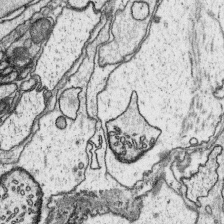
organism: Platynereis dumerilii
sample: Parapodia